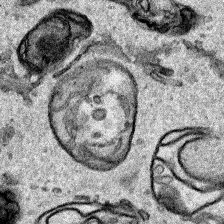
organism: Human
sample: Mitochondria in HCT116 cells